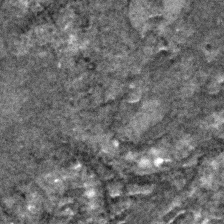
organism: C. elegans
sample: C. elegans embryo